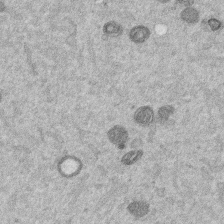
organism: Mouse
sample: Dividing mouse embryo 1 cell stage